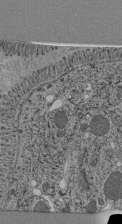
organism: C. elegans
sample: C. elegans pharynx